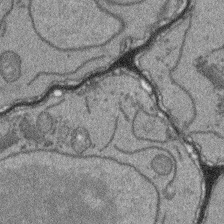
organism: Arabidopsis thaliana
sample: Root tip